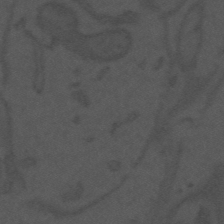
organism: Mouse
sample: Suprachiasmatic nucleus